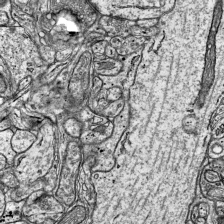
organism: Mouse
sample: Visual Cortex